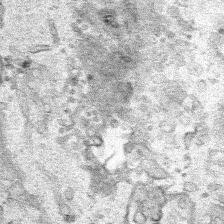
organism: Human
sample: Mitochondria in HCT116 cells